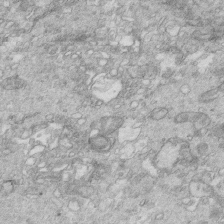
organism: Mouse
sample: Multiciliated cells